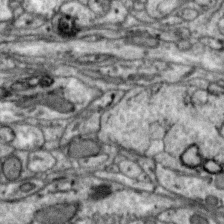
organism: Zebra finch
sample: Brain